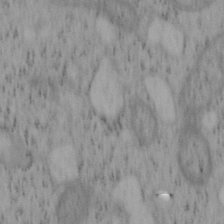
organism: Mouse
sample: OT-I killer T cells with ID8 ovarian cancer cells